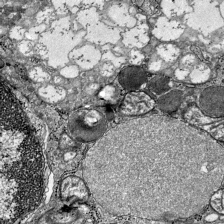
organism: Mouse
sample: Visual Cortex